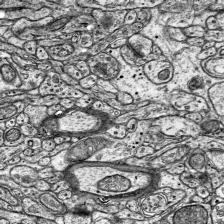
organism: Mouse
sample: Visual Cortex